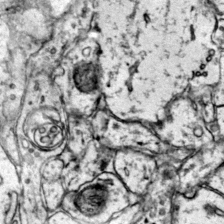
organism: Mouse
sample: Primary visual cortex